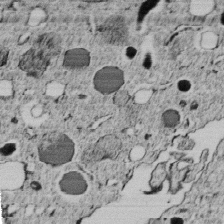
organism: C. elegans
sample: C. elegans embryo early stage